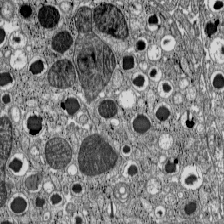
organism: C57BL Mouse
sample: Pancreatic islet